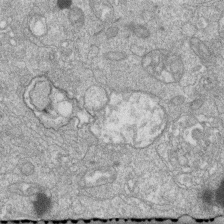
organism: Human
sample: HeLa cell HIV synapse